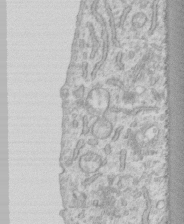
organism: Human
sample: CRL-1474